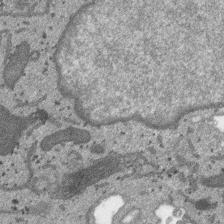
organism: Human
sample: Lung epithelial cells infected with SARS-CoV-2